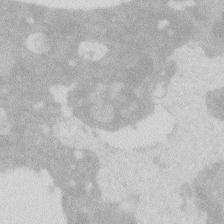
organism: Zebrafish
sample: Macrophage